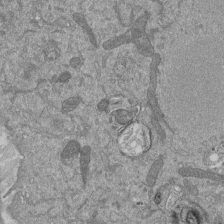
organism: Mouse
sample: ED-1 cell nuclei; centrioles